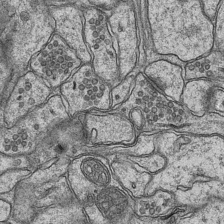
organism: Mouse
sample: CA1 Hippocampus